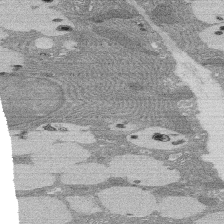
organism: Rat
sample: Salivary granule